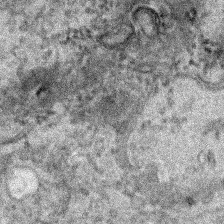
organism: Human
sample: Mitochondria in HCT116 cells